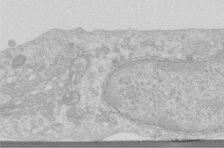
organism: Human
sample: Centriole in RPE cells